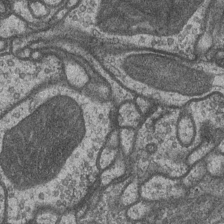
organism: Drosophila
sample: Optic medulla